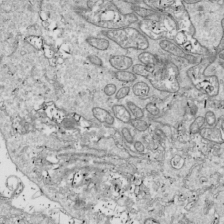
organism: Drosophila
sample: Cell division; meiosis; drosophila spermatocytes